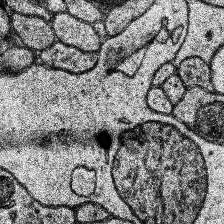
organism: Human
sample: Temporal Lobe